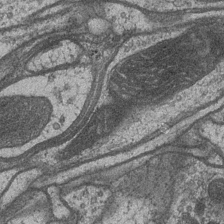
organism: Drosophila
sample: Optic medulla